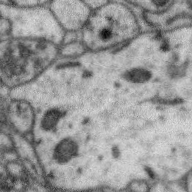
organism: Zebra finch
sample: Brain